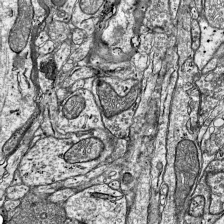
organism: Mouse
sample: Visual Cortex